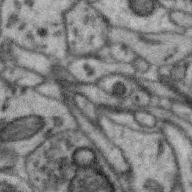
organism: Zebra finch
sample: Brain